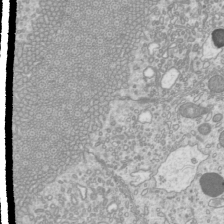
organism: Mouse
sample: Cilia; mouse epididymis